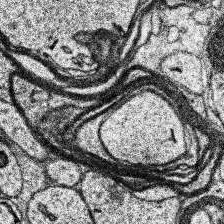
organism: Human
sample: Temporal Lobe